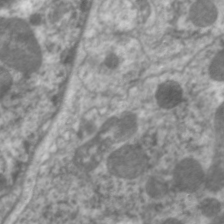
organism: C. elegans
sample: Pharynx